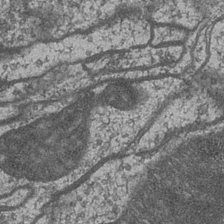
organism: Drosophila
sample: Optic medulla